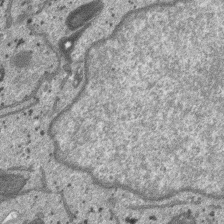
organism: Human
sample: Lung epithelial cells infected with SARS-CoV-2